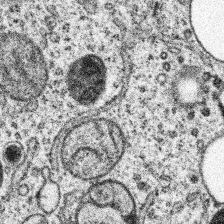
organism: Human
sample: HeLa cells